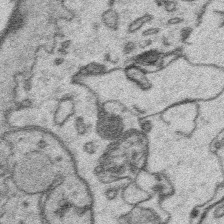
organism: Platynereis dumerilii